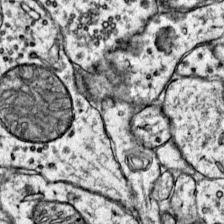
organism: Mouse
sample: Primary visual cortex